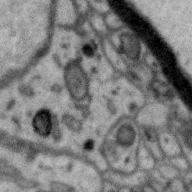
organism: Zebra finch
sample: Brain